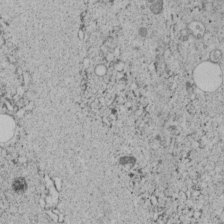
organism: C. elegans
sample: C. elegans embryo early stage